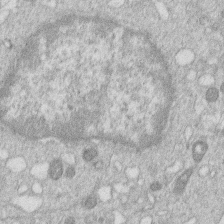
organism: Human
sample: Macrophage cells